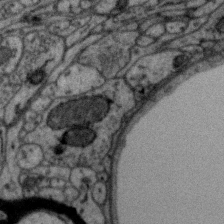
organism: Zebra finch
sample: Brain